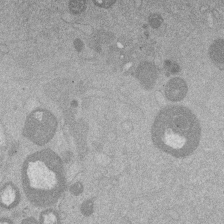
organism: Mouse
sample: Dividing mouse embryo 1 cell stage